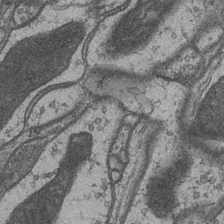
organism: Drosophila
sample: Optic medulla